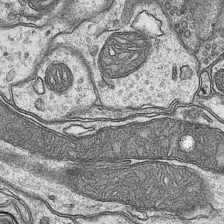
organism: Mouse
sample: CA1 Hippocampus